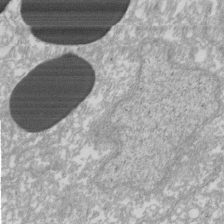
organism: Xenopus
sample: Cilia; centrioles in frog embryo cells